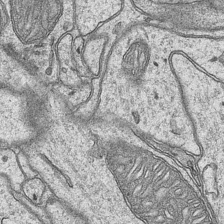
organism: Mouse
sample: CA1 Hippocampus